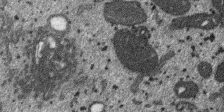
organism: Human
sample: Lung epithelial cells infected with SARS-CoV-2